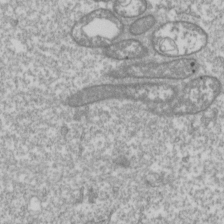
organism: Drosophila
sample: Cell division; meiosis; drosophila spermatocytes